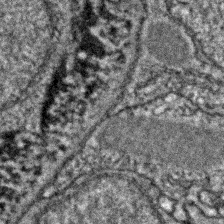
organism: Zebrafish